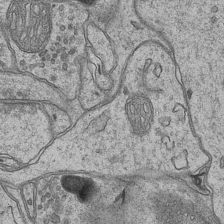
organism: Mouse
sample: CA1 Hippocampus